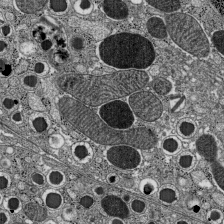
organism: C57BL Mouse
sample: Pancreatic islet